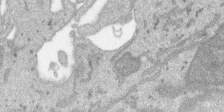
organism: Human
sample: Lung epithelial cells infected with SARS-CoV-2